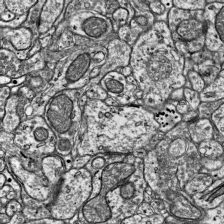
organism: Mouse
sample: Visual Cortex